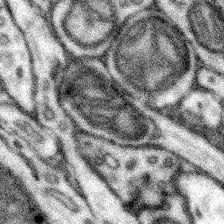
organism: Mouse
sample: Somatosensory cortex neuropil